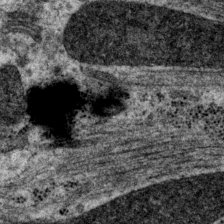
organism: P. pacificus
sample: Pharynx